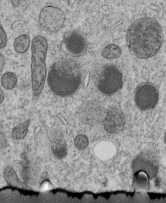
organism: C. elegans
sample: C. elegans embryo early stage